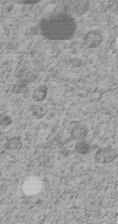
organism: C. elegans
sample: C. elegans embryo early stage